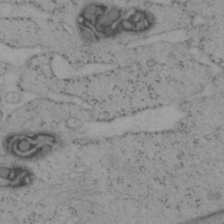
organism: Mouse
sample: OT-I killer T cells with ID8 ovarian cancer cells